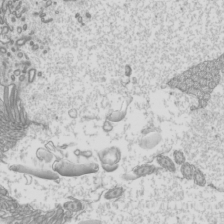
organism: Mouse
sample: Cilia; mouse epididymis